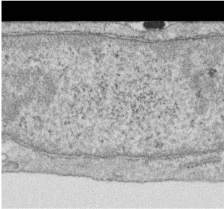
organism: Human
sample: Centriole in RPE cells